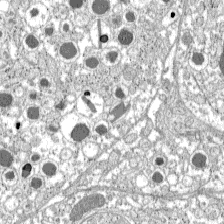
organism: C57BL Mouse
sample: Pancreatic islet